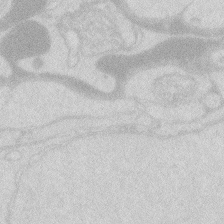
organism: Zebrafish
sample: Macrophage